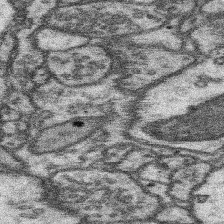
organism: Mouse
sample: Somatosensory cortex neuropil